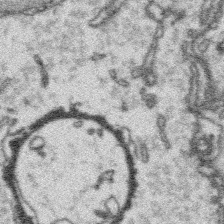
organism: Platynereis dumerilii